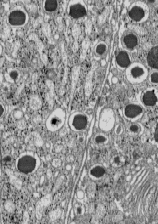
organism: C57BL Mouse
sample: Pancreatic islet